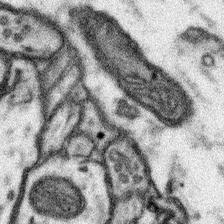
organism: Mouse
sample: Somatosensory cortex neuropil